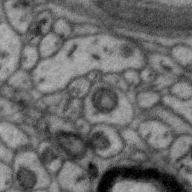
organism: Zebra finch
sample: Brain